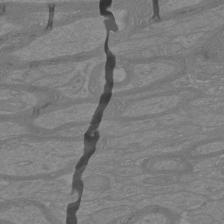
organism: Mouse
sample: Cortical neurons